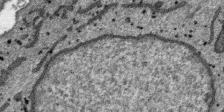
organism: Human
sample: Lung epithelial cells, uninfected (mock) control